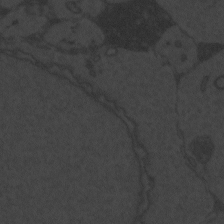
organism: Zebrafish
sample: Macrophage infected with Toxoplasma gondii